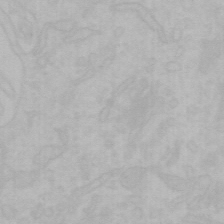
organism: Mouse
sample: Choroid plexus